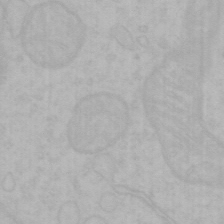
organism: Mouse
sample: Choroid plexus